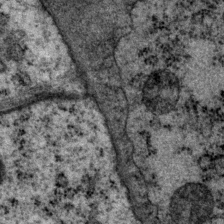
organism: P. pacificus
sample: Pharynx